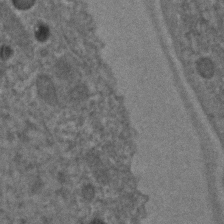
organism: C. elegans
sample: C. elegans embryo